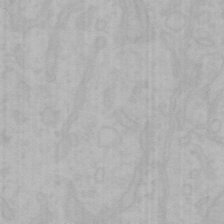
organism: Mouse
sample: Choroid plexus